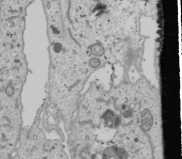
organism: Human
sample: Mitochondria in U2OS cells